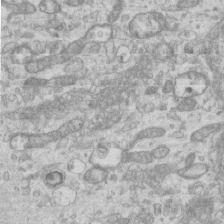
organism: Mouse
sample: Centriole in ependymal cells